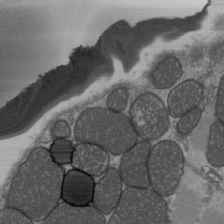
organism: C57BL Mouse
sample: Heart